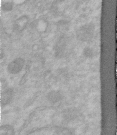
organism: Human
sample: Centriole in RPE cells